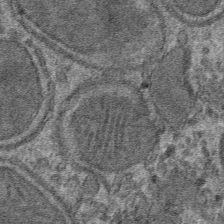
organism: Mouse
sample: Mouse hepatocytes